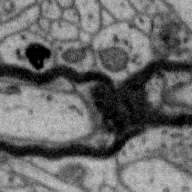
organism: Zebra finch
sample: Brain